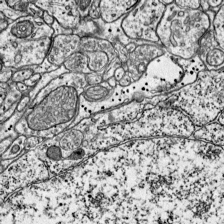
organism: Mouse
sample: Visual Cortex